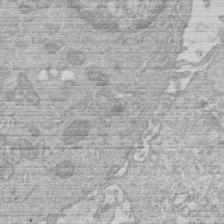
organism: Human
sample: Macrophage cells